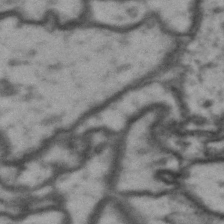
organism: Drosophila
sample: Brain